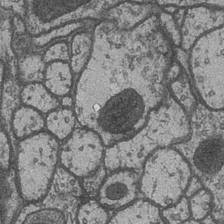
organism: Drosophila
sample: Optic medulla